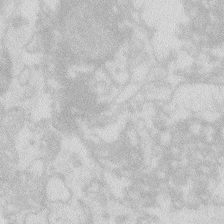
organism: Zebrafish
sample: Macrophage